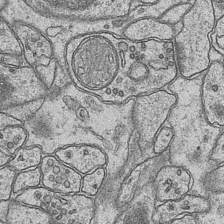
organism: Mouse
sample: CA1 Hippocampus